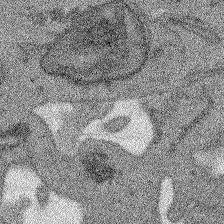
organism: Human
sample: HeLa cells